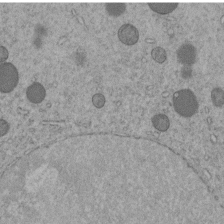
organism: C. elegans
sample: C. elegans embryo early stage